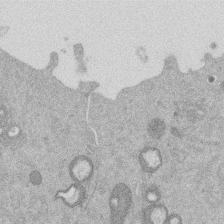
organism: Mouse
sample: Dividing mouse embryo 1 cell stage